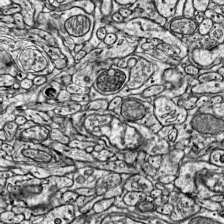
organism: Mouse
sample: Visual Cortex